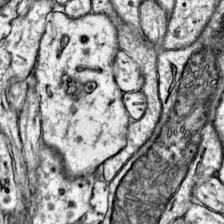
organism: Mouse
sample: Primary visual cortex